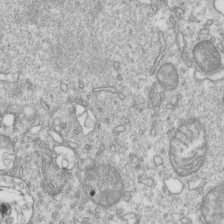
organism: Mouse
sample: Activated OT-1 CD8+ T cells